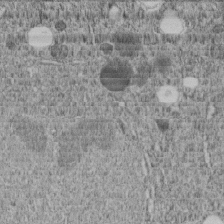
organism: C. elegans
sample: C. elegans embryo early stage